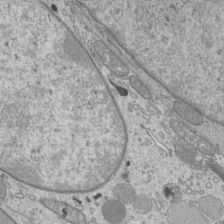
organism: Mouse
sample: Cilia; mouse epididymis